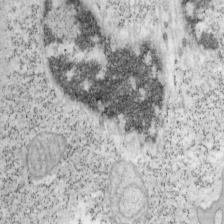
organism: Mouse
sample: OT-I killer T cells with ID8 ovarian cancer cells